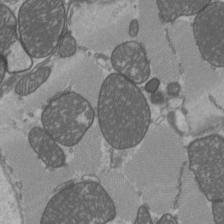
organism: C57BL Mouse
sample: Heart